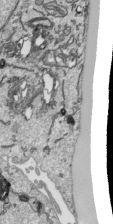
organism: Human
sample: Mitochondria in HCT116 cells